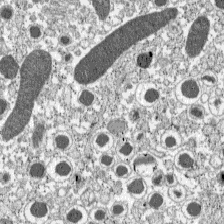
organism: C57BL Mouse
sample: Pancreatic islet